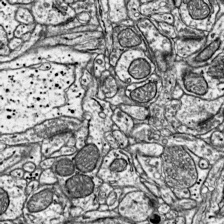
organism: Mouse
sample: Visual Cortex